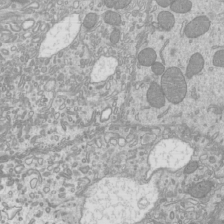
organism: Mouse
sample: Cilia; mouse epididymis